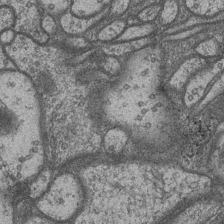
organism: Drosophila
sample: Optic medulla